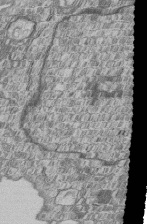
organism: Human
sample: MDA-MB-231 cells